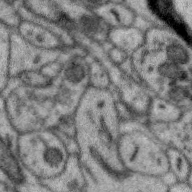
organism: Zebra finch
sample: Brain